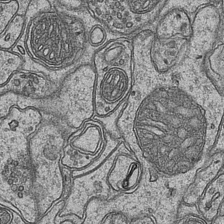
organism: Mouse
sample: CA1 Hippocampus